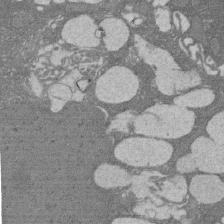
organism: Rat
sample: Salivary granule